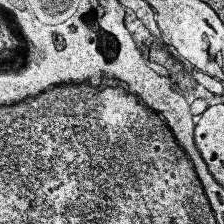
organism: Human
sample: Temporal Lobe